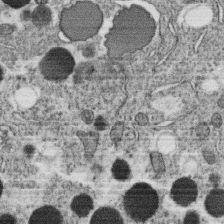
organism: C. elegans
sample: C. elegans oocyte; sperm cells